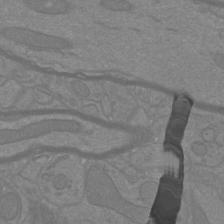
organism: Mouse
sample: Cortical neurons